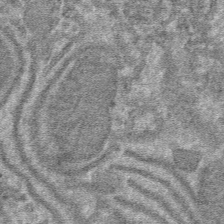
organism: Mouse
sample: Mouse hepatocytes